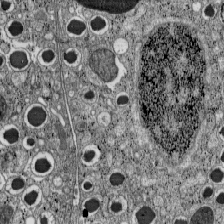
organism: C57BL Mouse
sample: Pancreatic islet